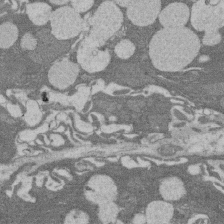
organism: Rat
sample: Salivary granule